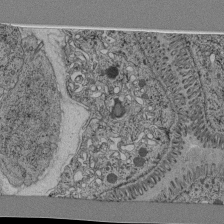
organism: C. elegans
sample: C. elegans pharynx